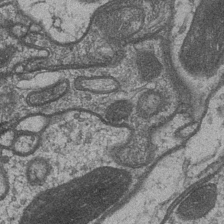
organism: Drosophila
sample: Optic medulla